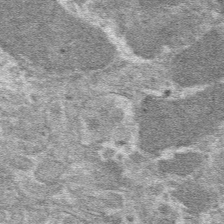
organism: Mouse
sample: Mouse hepatocytes